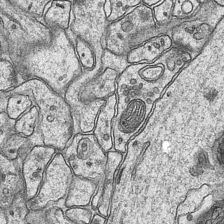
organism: Mouse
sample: CA1 Hippocampus